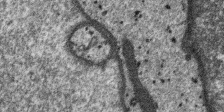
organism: Human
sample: Lung epithelial cells infected with SARS-CoV-2